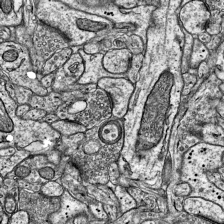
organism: Mouse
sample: Visual Cortex